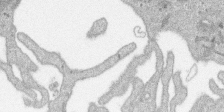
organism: Human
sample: Lung epithelial cells infected with SARS-CoV-2